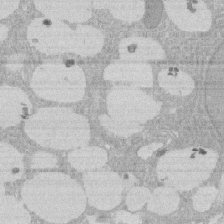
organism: Rat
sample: Salivary granule